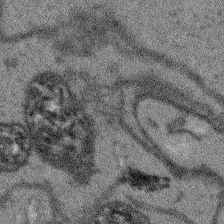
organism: Arabidopsis thaliana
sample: Root tip